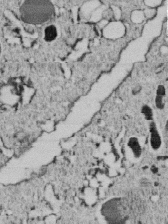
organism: C. elegans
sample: C. elegans embryo early stage